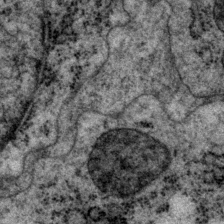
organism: P. pacificus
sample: Pharynx